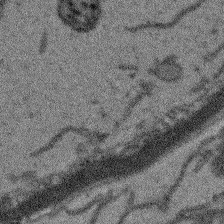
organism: Arabidopsis thaliana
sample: Root tip